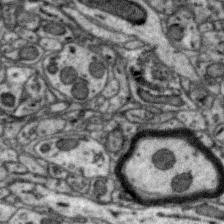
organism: Zebra finch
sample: Brain